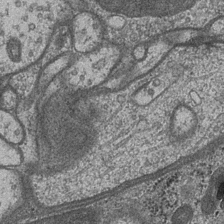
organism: Drosophila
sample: Optic medulla